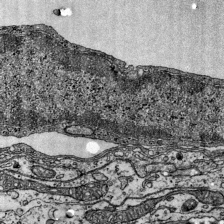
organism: Mouse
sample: Visual Cortex